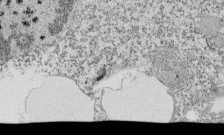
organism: Tetrahymena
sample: Cilia in tetrahymena